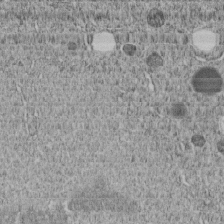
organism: C. elegans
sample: C. elegans embryo early stage